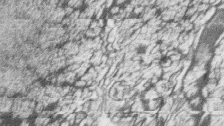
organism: Zebrafish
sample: synaptic ribbons in rod cells and cone cells